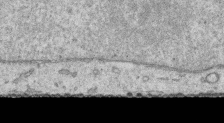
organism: Human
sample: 1205lu cells